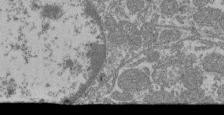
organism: Mouse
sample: Glomerulus